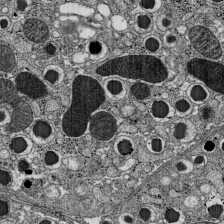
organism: C57BL Mouse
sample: Pancreatic islet